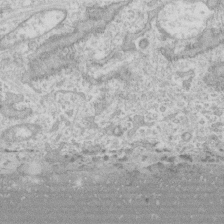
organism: Human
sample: CRL-1474